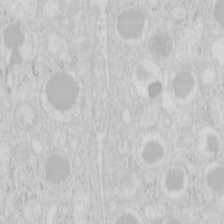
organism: Mouse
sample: Pancreas